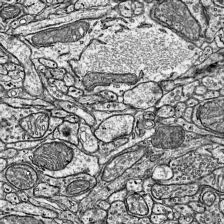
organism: Mouse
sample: Visual Cortex